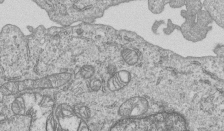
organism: Human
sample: MDA-MB-231 cells